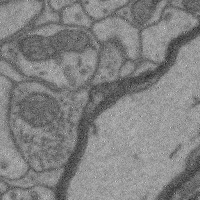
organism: Mouse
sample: Cerebral cortex